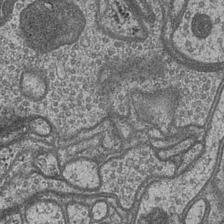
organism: Drosophila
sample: Optic medulla